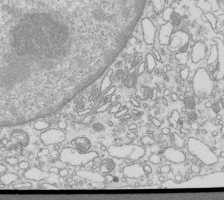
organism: Mouse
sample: Macrophages